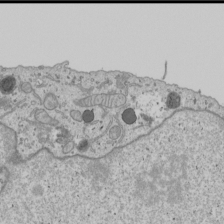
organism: Human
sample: Mitochondria in U2OS cells